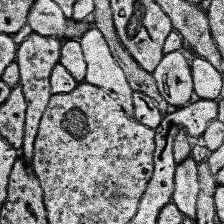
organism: Human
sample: Temporal Lobe